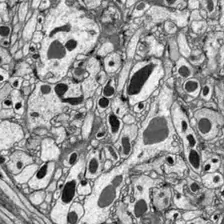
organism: Drosophila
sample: Optic lobe